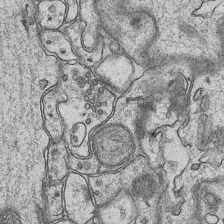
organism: Mouse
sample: CA1 Hippocampus